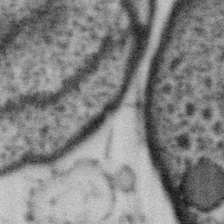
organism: Gemmata obscuriglobus